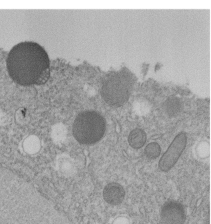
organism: C. elegans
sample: C. elegans embryo early stage